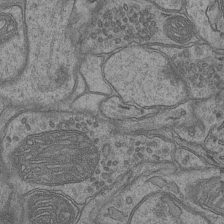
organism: Mouse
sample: CA1 Hippocampus